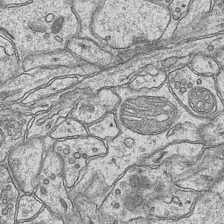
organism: Mouse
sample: CA1 Hippocampus